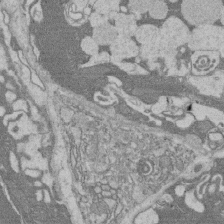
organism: Rat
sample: Salivary granule